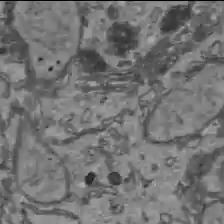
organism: C57BL Mouse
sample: Liver